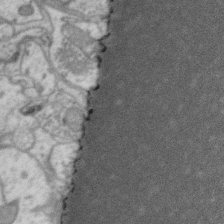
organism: Zebra finch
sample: Brain